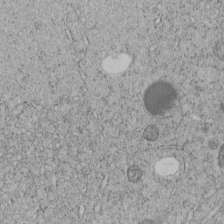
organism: C. elegans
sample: C. elegans embryo early stage